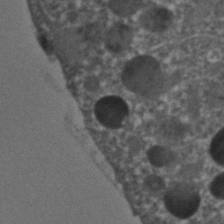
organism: C. elegans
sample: C. elegans embryo